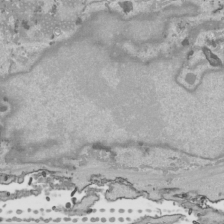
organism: Human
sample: Mitochondria in HCT116 cells